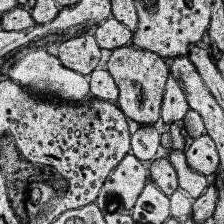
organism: Human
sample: Temporal Lobe